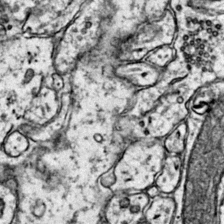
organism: Mouse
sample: Primary visual cortex